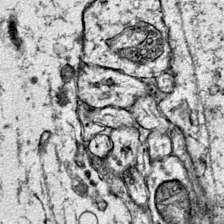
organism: Mouse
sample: Primary visual cortex